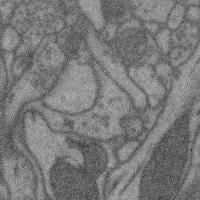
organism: Mouse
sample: Cerebral cortex